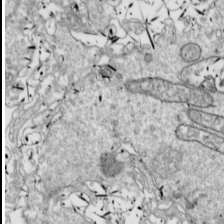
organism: Drosophila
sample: Cell division; meiosis; drosophila spermatocytes